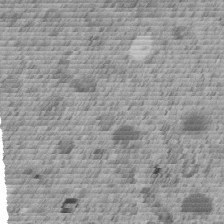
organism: C. elegans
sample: C. elegans embryo early stage